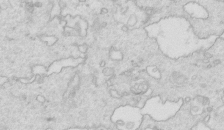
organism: Mouse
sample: Multiciliated cells